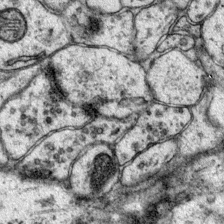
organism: Mouse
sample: Primary visual cortex